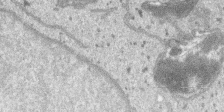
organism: Human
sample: Lung epithelial cells infected with SARS-CoV-2